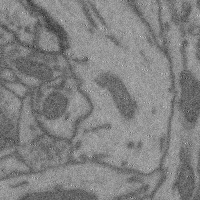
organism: Mouse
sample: Cerebral cortex